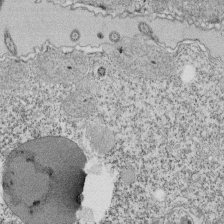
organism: Tetrahymena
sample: Cilia in tetrahymena